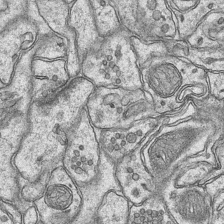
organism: Mouse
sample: CA1 Hippocampus